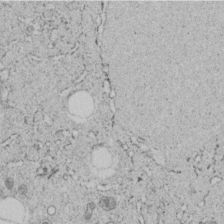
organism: C. elegans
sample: C. elegans embryo early stage